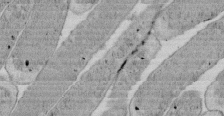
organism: E. coli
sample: Bacterial nucleoid